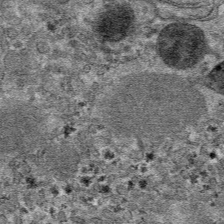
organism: Mouse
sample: Mouse hepatocytes